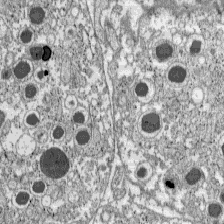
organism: C57BL Mouse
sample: Pancreatic islet